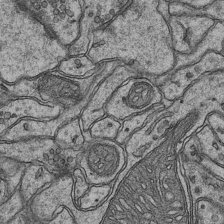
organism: Mouse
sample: CA1 Hippocampus